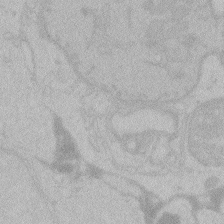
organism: Zebrafish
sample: Macrophage infected with Toxoplasma gondii